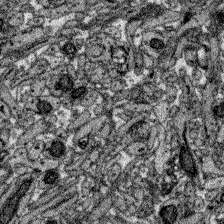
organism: Zebrafish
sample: Larval olfactory bulb